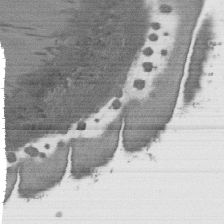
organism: C. elegans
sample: AFD neurons C. elegans